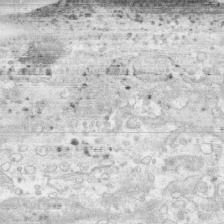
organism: Human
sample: CRL-1474